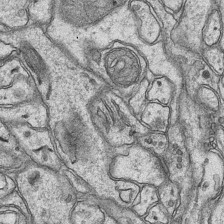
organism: Mouse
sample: CA1 Hippocampus